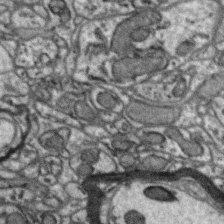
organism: Zebra finch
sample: Brain